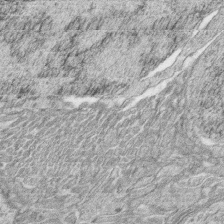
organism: Zebrafish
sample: synaptic ribbons in rod cells and cone cells